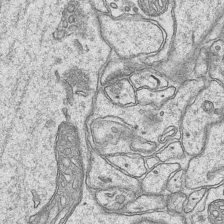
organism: Mouse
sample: CA1 Hippocampus